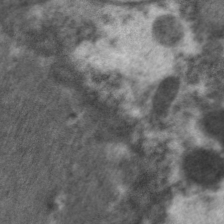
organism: C. elegans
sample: Pharynx